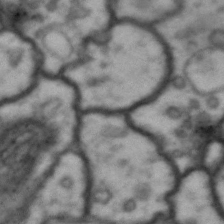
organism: Drosophila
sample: Brain